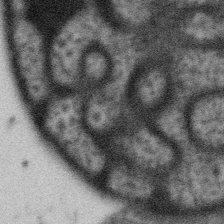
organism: Gemmata obscuriglobus